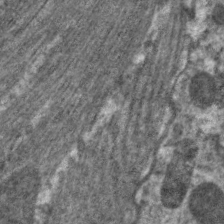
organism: C. elegans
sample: Pharynx